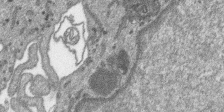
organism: Human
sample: Lung epithelial cells infected with SARS-CoV-2